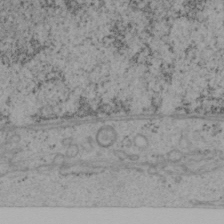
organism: Human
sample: HeLa cells